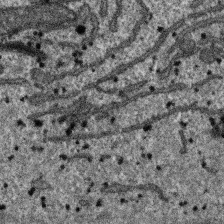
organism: Human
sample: Lung epithelial cells infected with SARS-CoV-2